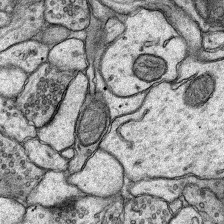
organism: Rat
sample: Hippocampus